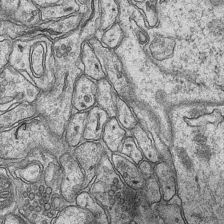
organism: Mouse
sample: CA1 Hippocampus